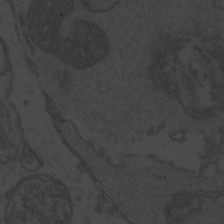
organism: Zebrafish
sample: Macrophage infected with Toxoplasma gondii